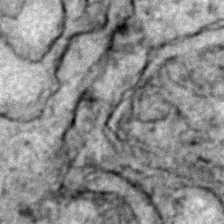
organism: Zebrafish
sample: Zebrafish embryo